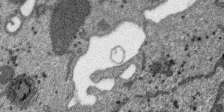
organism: Human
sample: Lung epithelial cells infected with SARS-CoV-2